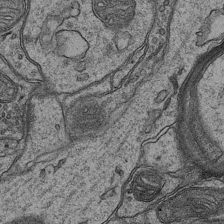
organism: Mouse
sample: CA1 Hippocampus